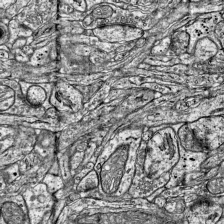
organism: Mouse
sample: Visual Cortex